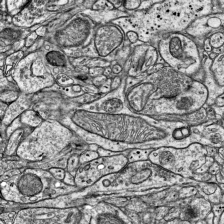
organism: Mouse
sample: Visual Cortex